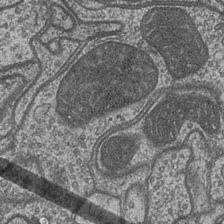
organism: Drosophila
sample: Optic medulla